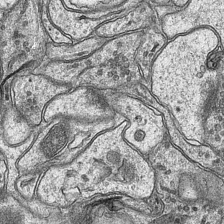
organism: Mouse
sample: CA1 Hippocampus